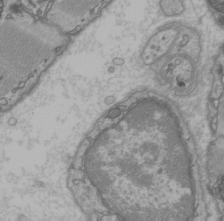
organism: C57BL Mouse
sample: Heart